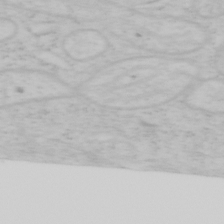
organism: Mouse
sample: OT-I killer T cells with ID8 ovarian cancer cells